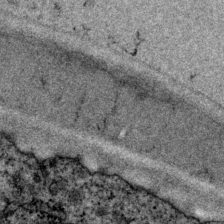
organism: P. pacificus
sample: Pharynx